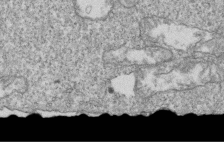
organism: Human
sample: HeLa cell HIV synapse